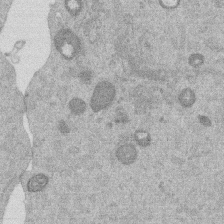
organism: Mouse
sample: Dividing mouse embryo 1 cell stage